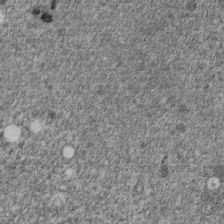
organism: C. elegans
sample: C. elegans embryo early stage